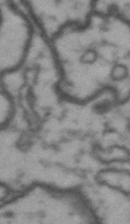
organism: Drosophila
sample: Brain